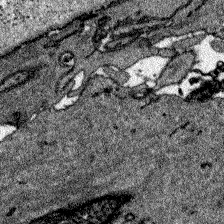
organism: Zebrafish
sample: Larval olfactory bulb